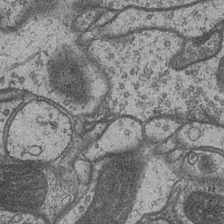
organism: Drosophila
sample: Optic medulla